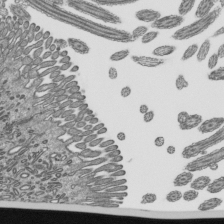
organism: Mouse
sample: Mouse epididymis efferent ductule cilia